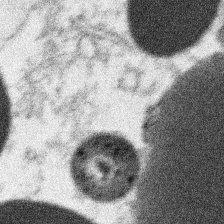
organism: Xenopus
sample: Cilia; centrioles in frog embryo cells